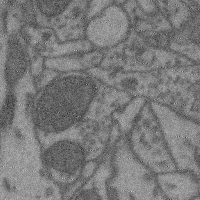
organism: Mouse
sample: Cerebral cortex